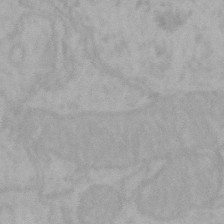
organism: Mouse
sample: Choroid plexus